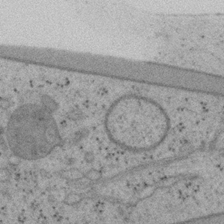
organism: Human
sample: HeLa cells